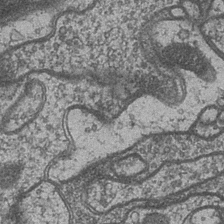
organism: Drosophila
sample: Optic medulla